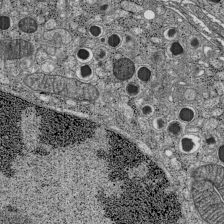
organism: C57BL Mouse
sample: Pancreatic islet